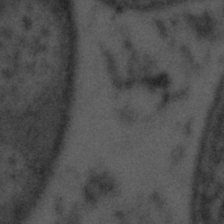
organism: Tuwongella immobilis